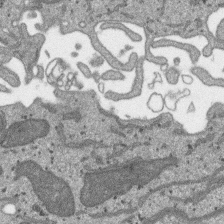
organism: Human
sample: Lung epithelial cells infected with SARS-CoV-2